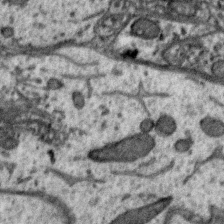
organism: Zebra finch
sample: Brain